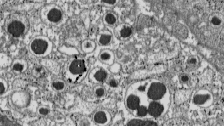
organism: C57BL Mouse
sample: Pancreatic islet